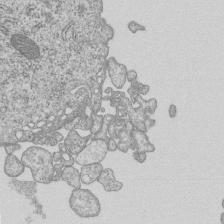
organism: Human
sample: MDA-MB-231 cells